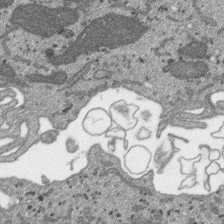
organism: Human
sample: Lung epithelial cells infected with SARS-CoV-2